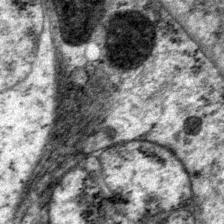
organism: P. pacificus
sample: Pharynx